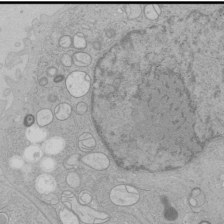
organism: Human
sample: Mitochondria in HCT116 cells